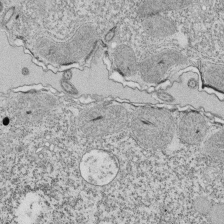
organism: Tetrahymena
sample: Cilia in tetrahymena